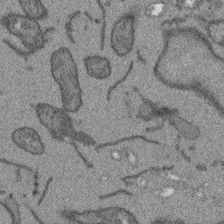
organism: Arabidopsis thaliana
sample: Root tip